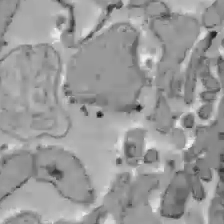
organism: C57BL Mouse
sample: Liver